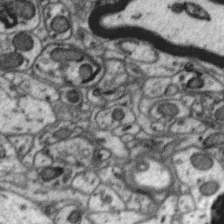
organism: Zebra finch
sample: Brain